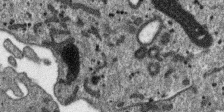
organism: Human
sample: Lung epithelial cells infected with SARS-CoV-2